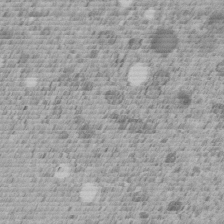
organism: C. elegans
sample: C. elegans embryo early stage